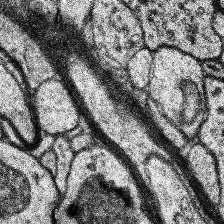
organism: Human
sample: Temporal Lobe